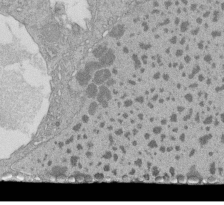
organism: Tetrahymena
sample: Cilia in tetrahymena